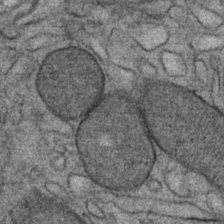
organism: Mouse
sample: Mouse Salivary gland